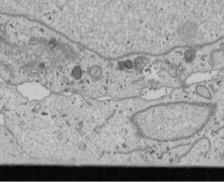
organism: Human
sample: Mitochondria in U2OS cells